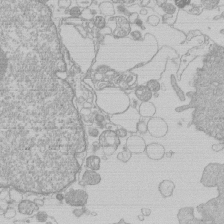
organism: Human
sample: Macrophage cells